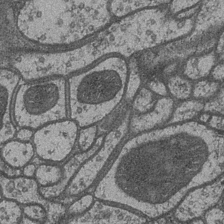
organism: Drosophila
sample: Optic medulla